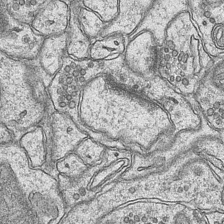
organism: Mouse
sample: CA1 Hippocampus